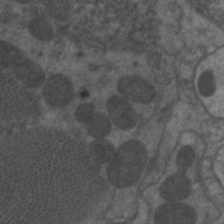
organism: C. elegans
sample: Pharynx